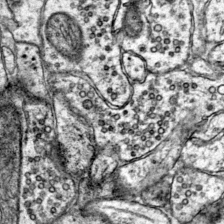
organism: Mouse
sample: Primary visual cortex